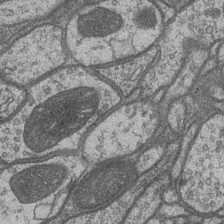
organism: Drosophila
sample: Optic medulla